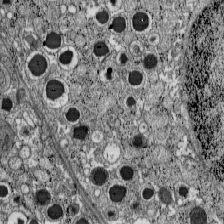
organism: C57BL Mouse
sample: Pancreatic islet